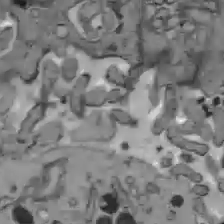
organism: C57BL Mouse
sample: Liver